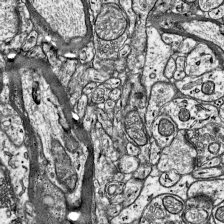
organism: Mouse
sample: Visual Cortex